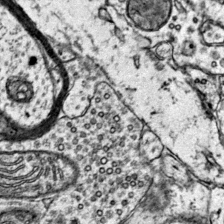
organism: Mouse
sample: Primary visual cortex